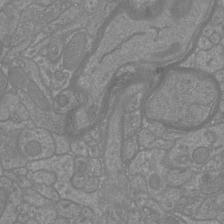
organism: Mouse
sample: Cortical neurons